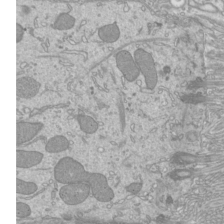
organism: Mouse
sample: Cilia; mouse epididymis